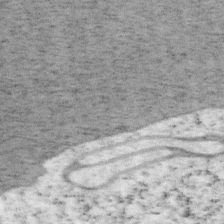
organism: Mouse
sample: OT-I killer T cells with ID8 ovarian cancer cells